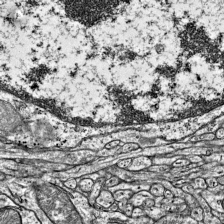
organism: Mouse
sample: Visual Cortex